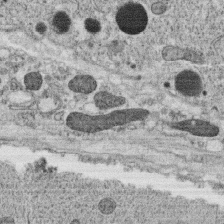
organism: C. elegans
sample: C. elegans oocyte; sperm cells